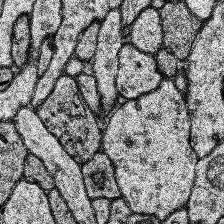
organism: Human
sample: Temporal Lobe